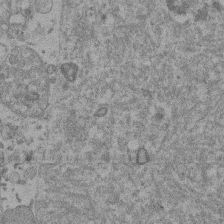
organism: Mouse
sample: Dividing mouse embryo 1 cell stage